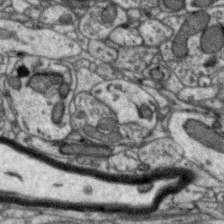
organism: Zebra finch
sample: Brain